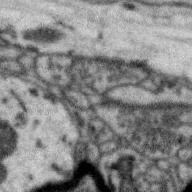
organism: Zebra finch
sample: Brain